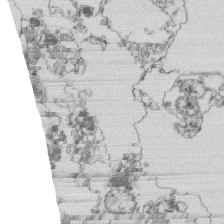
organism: Human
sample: HeLa cell HIV synapse